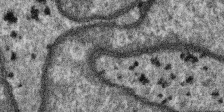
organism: Human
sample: Lung epithelial cells infected with SARS-CoV-2